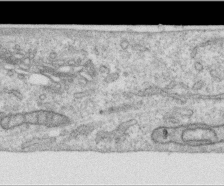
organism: Human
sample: Centriole in RPE cells